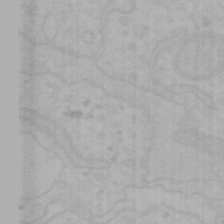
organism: Mouse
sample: Choroid plexus